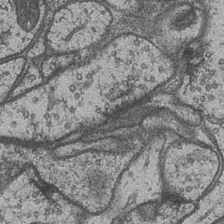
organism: Drosophila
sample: Optic medulla